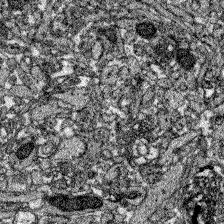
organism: Zebrafish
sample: Larval olfactory bulb